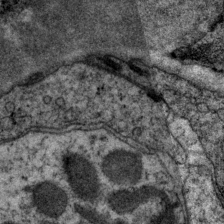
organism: P. pacificus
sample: Pharynx